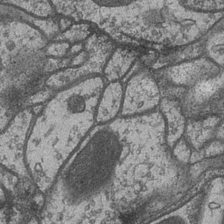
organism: Drosophila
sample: Optic medulla